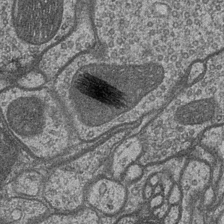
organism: Drosophila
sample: Optic medulla